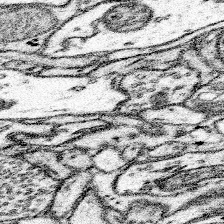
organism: Mouse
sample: Somatosensory cortex neuropil